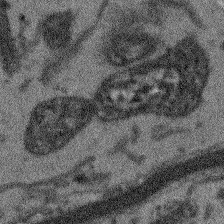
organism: Arabidopsis thaliana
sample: Root tip